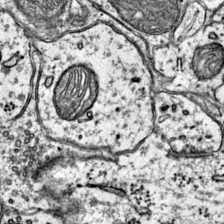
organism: Mouse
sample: Primary visual cortex